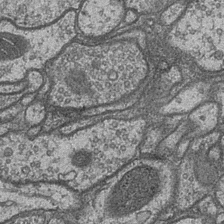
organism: Drosophila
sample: Optic medulla